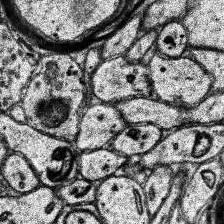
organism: Human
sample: Temporal Lobe